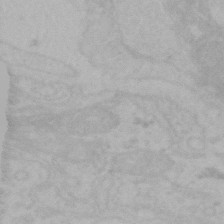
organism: Mouse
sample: Choroid plexus